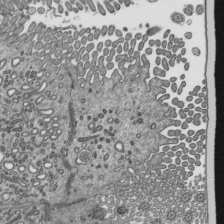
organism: Mouse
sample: Mouse epididymis efferent ductule cilia